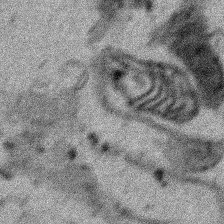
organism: Human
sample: Mitochondria in HCT116 cells